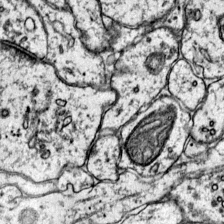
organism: Mouse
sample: Primary visual cortex